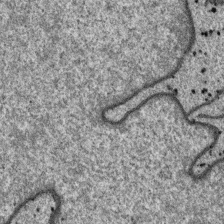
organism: Human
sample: Lung epithelial cells, uninfected (mock) control